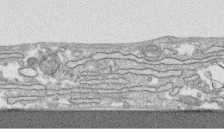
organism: Human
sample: CRL-1474